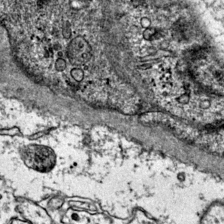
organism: Mouse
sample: Primary visual cortex